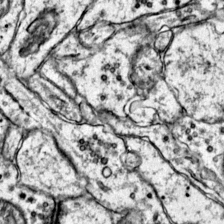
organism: Mouse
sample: Primary visual cortex